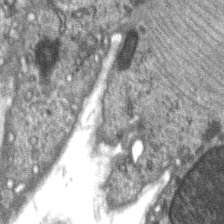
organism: C57BL Mouse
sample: Soleus